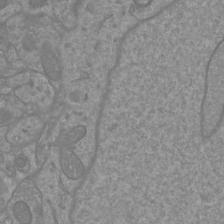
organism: Mouse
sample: Cortical neurons